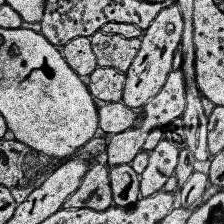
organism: Human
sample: Temporal Lobe